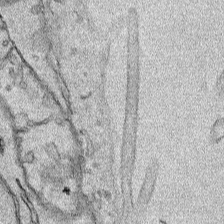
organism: Human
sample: Mitochondria in HCT116 cells